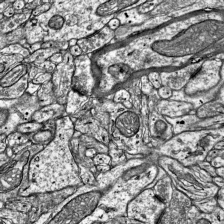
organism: Mouse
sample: Visual Cortex